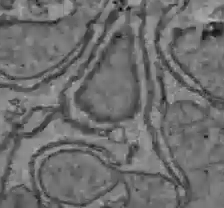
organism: C57BL Mouse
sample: Liver